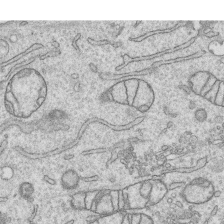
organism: Human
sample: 1205lu cells